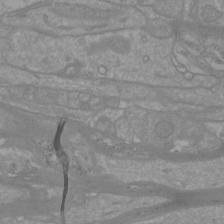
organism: Mouse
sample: Cortical neurons